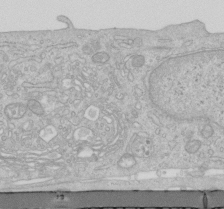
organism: Human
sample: Centriole in RPE cells